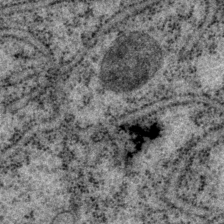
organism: P. pacificus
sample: Pharynx